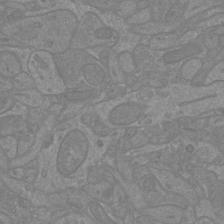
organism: Mouse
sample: Cortical neurons